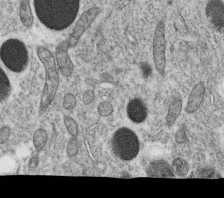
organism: C. elegans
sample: C. elegans oocyte; sperm cells